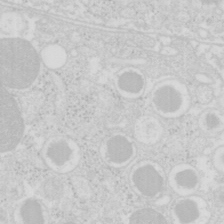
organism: Mouse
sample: Pancreas